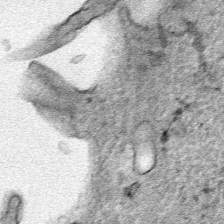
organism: Human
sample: Mitochondria in HCT116 cells